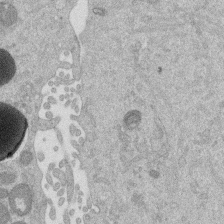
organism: Mouse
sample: Dividing mouse embryo 1 cell stage